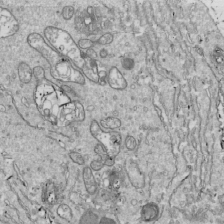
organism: Drosophila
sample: Cell division; meiosis; drosophila spermatocytes